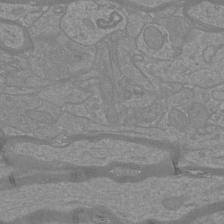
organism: Mouse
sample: Cortical neurons